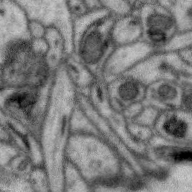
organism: Zebra finch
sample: Brain